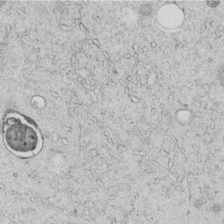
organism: C. elegans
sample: C. elegans embryo early stage